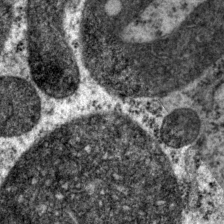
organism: P. pacificus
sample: Pharynx